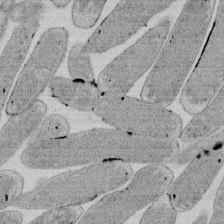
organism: E. coli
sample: Bacterial nucleoid